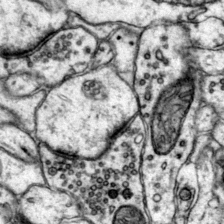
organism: Mouse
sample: Primary visual cortex